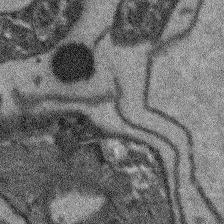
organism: Arabidopsis thaliana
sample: Root tip